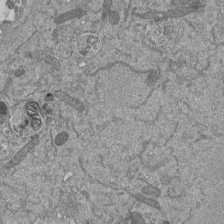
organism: Mouse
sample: ED-1 cell nuclei; centrioles